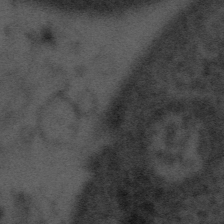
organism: Tuwongella immobilis